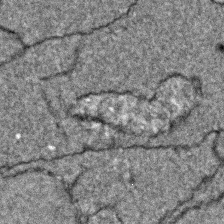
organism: Zebrafish